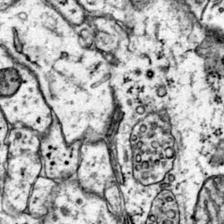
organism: Mouse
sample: Primary visual cortex